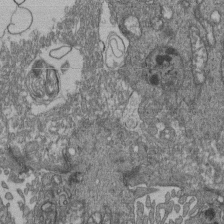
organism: Human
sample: Retinal organoid Rod and Cone cells